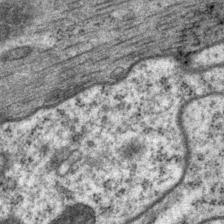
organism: P. pacificus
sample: Pharynx